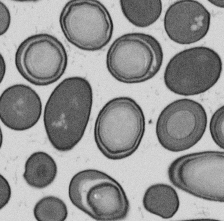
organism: B. subtilis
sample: Bacterial spore